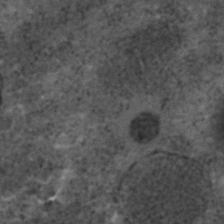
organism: C. elegans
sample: C. elegans embryo